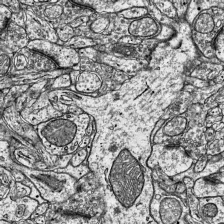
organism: Mouse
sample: Visual Cortex